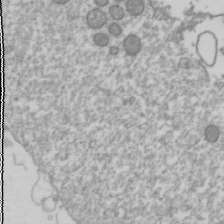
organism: Drosophila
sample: Cell division; meiosis; drosophila spermatocytes